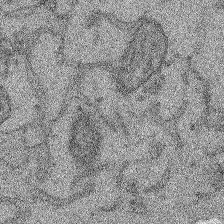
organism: Human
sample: HeLa cells